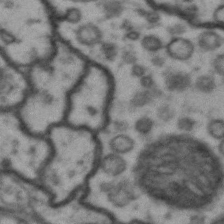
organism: Drosophila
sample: Brain